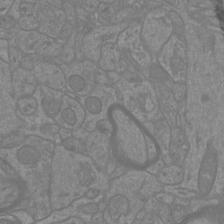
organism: Mouse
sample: Cortical neurons